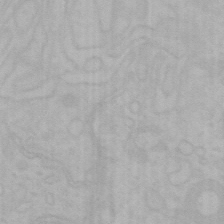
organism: Mouse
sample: Choroid plexus